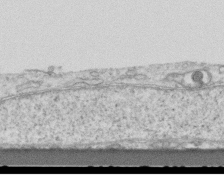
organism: Mouse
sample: Centriole in ependymal cells